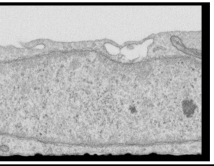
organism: Human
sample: Centriole in RPE cells